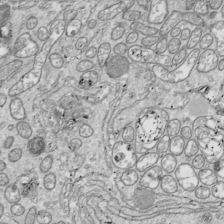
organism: Drosophila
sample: Cell division; meiosis; drosophila spermatocytes